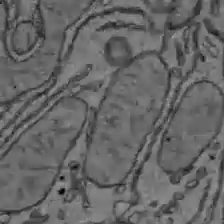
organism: C57BL Mouse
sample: Liver